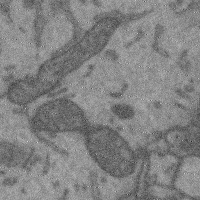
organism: Mouse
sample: Cerebral cortex